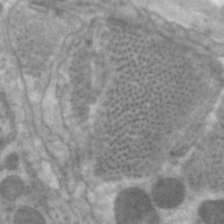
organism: C. elegans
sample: Pharynx